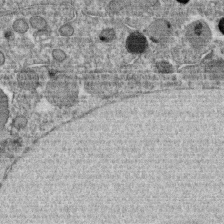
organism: C. elegans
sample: C. elegans oocyte; sperm cells